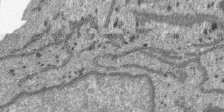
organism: Human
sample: Lung epithelial cells infected with SARS-CoV-2